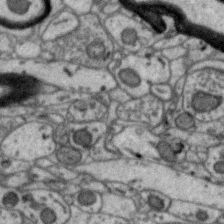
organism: Zebra finch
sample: Brain